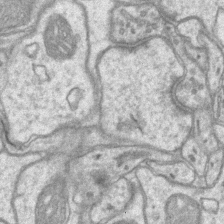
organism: Mouse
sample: CA1 Hippocampus